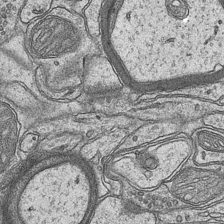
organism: Mouse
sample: CA1 Hippocampus